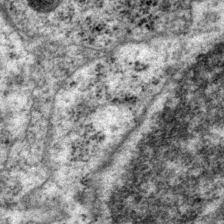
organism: P. pacificus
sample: Pharynx